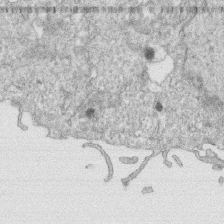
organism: Human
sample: HeLa cell HIV synapse